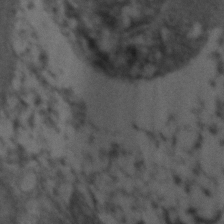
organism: Zebrafish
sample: Zebrafish embryo